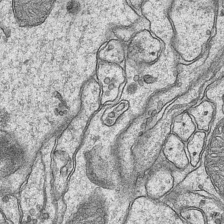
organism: Mouse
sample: CA1 Hippocampus